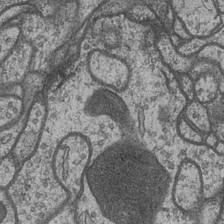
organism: Drosophila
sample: Optic medulla